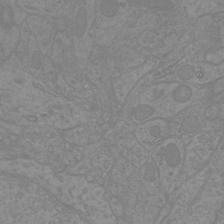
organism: Mouse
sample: Cortical neurons